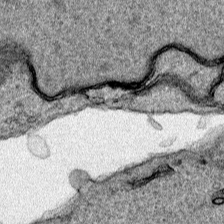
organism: Human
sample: Mitochondria in HCT116 cells